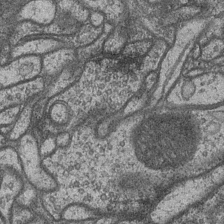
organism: Drosophila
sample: Optic medulla